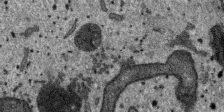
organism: Human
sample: Lung epithelial cells, uninfected (mock) control